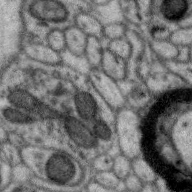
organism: Zebra finch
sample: Brain